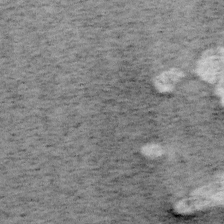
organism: Mouse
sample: OT-I killer T cells with ID8 ovarian cancer cells